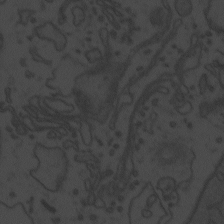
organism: Zebrafish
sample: Macrophage infected with Toxoplasma gondii